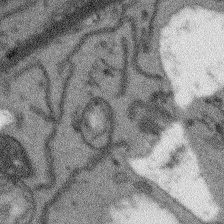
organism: Arabidopsis thaliana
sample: Root tip